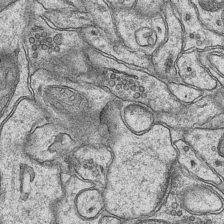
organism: Mouse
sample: CA1 Hippocampus